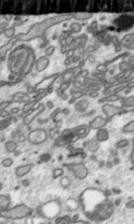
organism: Toxoplasma gondii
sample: Parasites in a vacuole inside a host cell